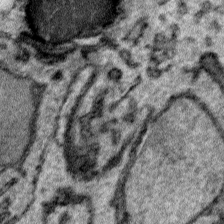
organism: Plasmodium falciparum